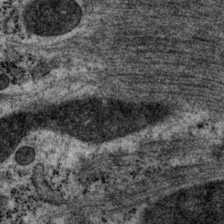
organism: P. pacificus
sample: Pharynx